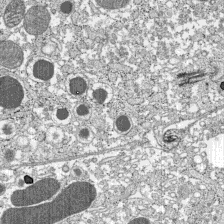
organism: C57BL Mouse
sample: Pancreatic islet